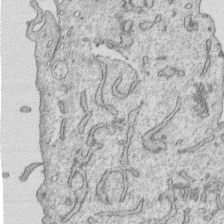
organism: Human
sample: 1205lu cells